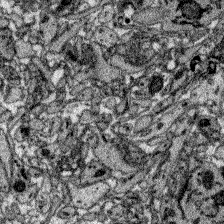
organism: Zebrafish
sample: Larval olfactory bulb